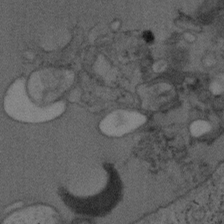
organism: Human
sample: HeLa cells